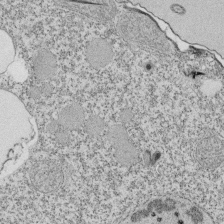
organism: Tetrahymena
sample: Cilia in tetrahymena